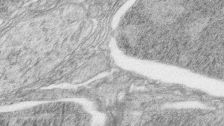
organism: Zebrafish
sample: synaptic ribbons in rod cells and cone cells